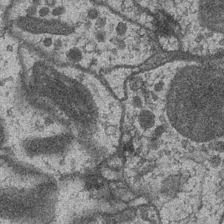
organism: Drosophila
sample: Optic medulla